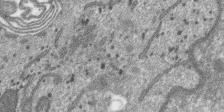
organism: Human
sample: Lung epithelial cells infected with SARS-CoV-2